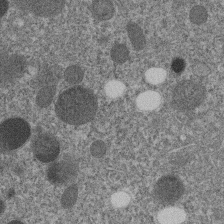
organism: C. elegans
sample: C. elegans embryo early stage